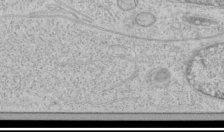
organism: Human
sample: Mitochondria in HCT116 cells